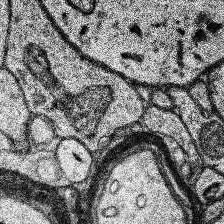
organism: Human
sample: Temporal Lobe